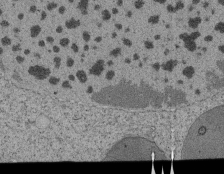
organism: Tetrahymena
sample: Cilia in tetrahymena